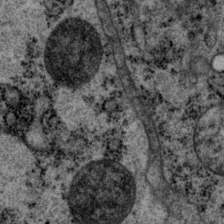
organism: P. pacificus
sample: Pharynx